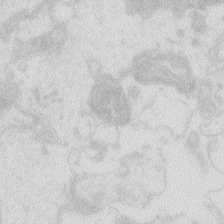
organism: Zebrafish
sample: Macrophage